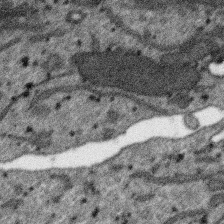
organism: Human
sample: Lung epithelial cells infected with SARS-CoV-2